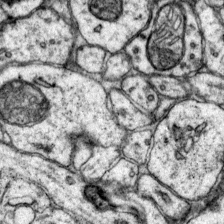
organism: Mouse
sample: Primary visual cortex